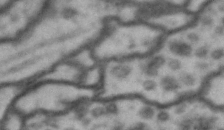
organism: Drosophila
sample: Brain